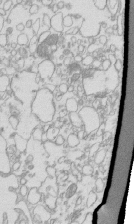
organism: Mouse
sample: Macrophages